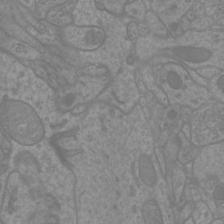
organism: Mouse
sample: Cortical neurons